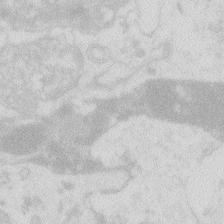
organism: Zebrafish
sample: Macrophage